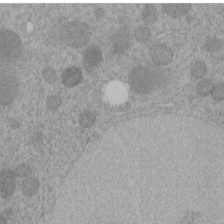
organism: C. elegans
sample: C. elegans embryo early stage